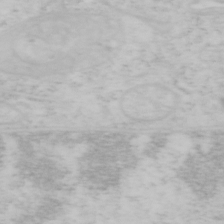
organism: Mouse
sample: OT-I killer T cells with ID8 ovarian cancer cells